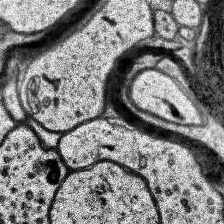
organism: Human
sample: Temporal Lobe